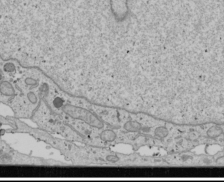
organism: Human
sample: Mitochondria in U2OS cells